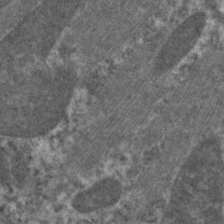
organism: C. elegans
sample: Pharynx